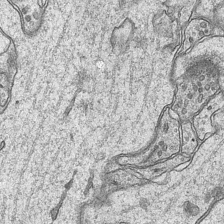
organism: Mouse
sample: CA1 Hippocampus